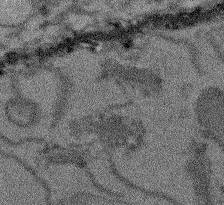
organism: Arabidopsis thaliana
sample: Root tip